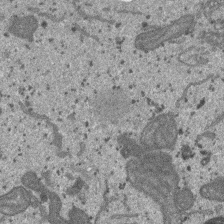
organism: Human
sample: Lung epithelial cells infected with SARS-CoV-2